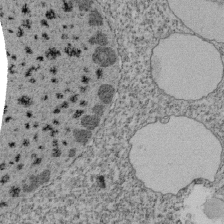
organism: Tetrahymena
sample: Cilia in tetrahymena